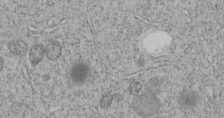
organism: C. elegans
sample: C. elegans embryo early stage